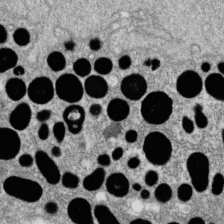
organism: Zebrafish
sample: Cilia; retinal pigment epithelium